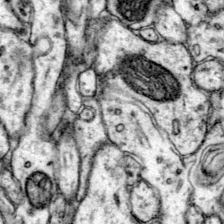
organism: Mouse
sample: Primary visual cortex